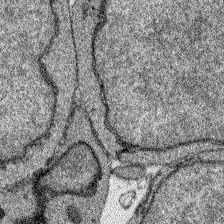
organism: Zebrafish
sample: Larval olfactory bulb